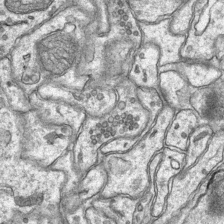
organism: Mouse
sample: CA1 Hippocampus